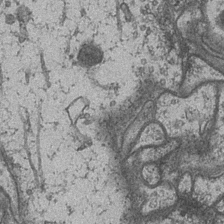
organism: Drosophila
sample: Optic medulla